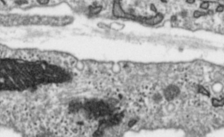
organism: Toxoplasma gondii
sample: Parasites in a vacuole inside a host cell